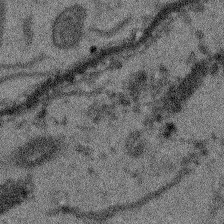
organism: Arabidopsis thaliana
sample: Root tip